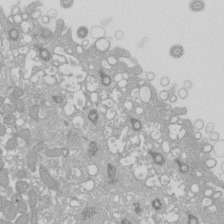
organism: Xenopus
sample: Cilia; centrioles in frog embryo cells